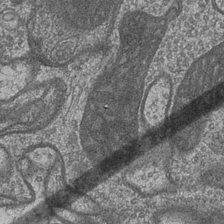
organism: Drosophila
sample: Optic medulla